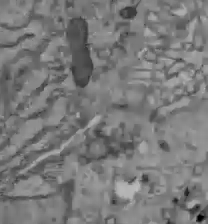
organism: C57BL Mouse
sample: Liver